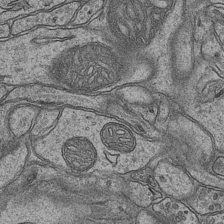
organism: Mouse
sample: CA1 Hippocampus